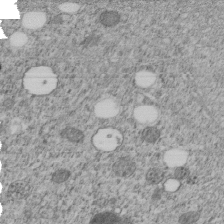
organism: C. elegans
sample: C. elegans embryo early stage